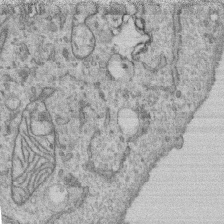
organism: Human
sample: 1205lu cells